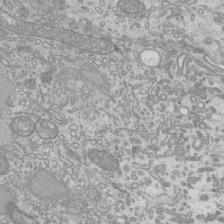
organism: Mouse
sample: Cilia; mouse epididymis